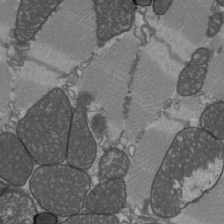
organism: C57BL Mouse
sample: Heart